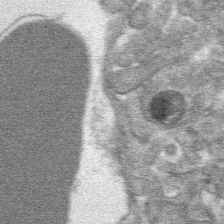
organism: Mouse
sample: Mouse hepatocytes